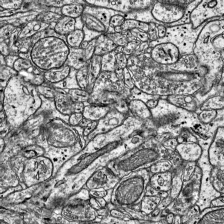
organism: Mouse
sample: Visual Cortex